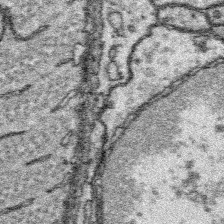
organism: Platynereis dumerilii